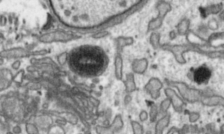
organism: Toxoplasma gondii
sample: Parasites in a vacuole inside a host cell